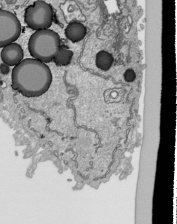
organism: Human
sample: Mitochondria in HCT116 cells